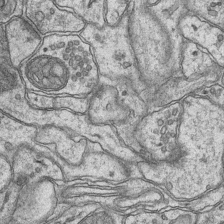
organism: Mouse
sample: CA1 Hippocampus